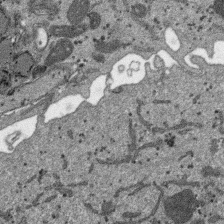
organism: Human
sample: Lung epithelial cells infected with SARS-CoV-2